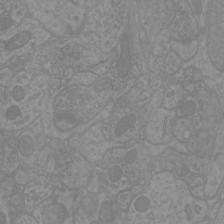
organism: Mouse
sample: Cortical neurons